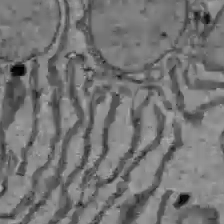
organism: C57BL Mouse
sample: Liver